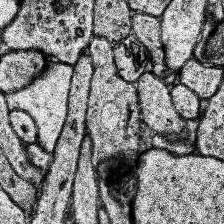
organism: Human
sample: Temporal Lobe